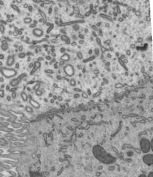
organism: Mouse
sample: Mouse epididymis efferent ductule cilia